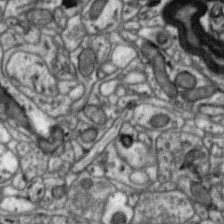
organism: Zebra finch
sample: Brain